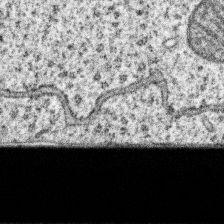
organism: Human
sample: HeLa cells